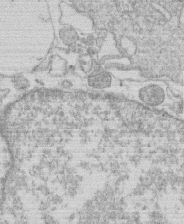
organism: Human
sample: Macrophage cells